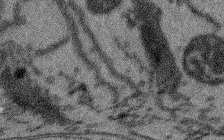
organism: Arabidopsis thaliana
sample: Root tip